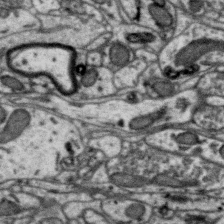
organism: Zebra finch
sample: Brain